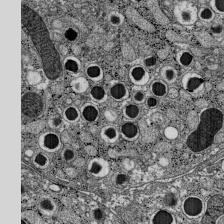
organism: C57BL Mouse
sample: Pancreatic islet